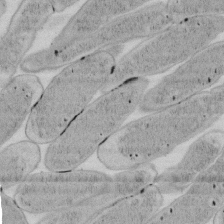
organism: E. coli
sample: Bacterial nucleoid